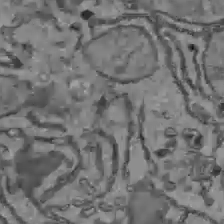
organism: C57BL Mouse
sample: Liver